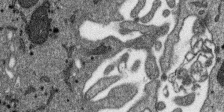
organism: Human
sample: Lung epithelial cells infected with SARS-CoV-2